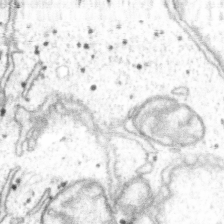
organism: Human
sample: HeLa cells